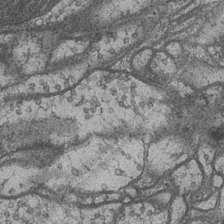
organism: Drosophila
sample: Optic medulla